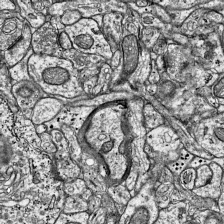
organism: Mouse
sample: Visual Cortex